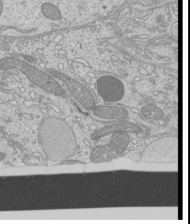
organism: Mouse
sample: Cilia; mouse epididymis